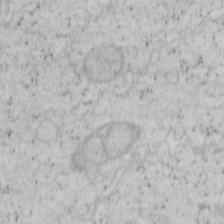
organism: Human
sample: HeLa cells